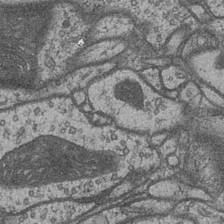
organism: Drosophila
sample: Optic medulla